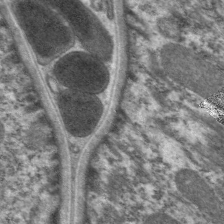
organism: C. elegans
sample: Pharynx